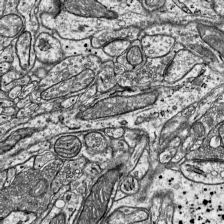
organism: Mouse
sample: Visual Cortex